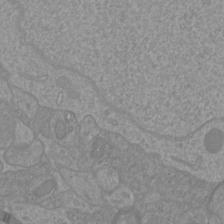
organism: Mouse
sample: Cortical neurons